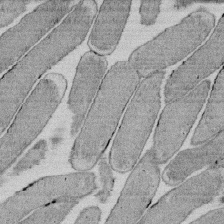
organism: E. coli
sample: Bacterial nucleoid